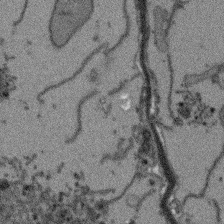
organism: Arabidopsis thaliana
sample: Root tip